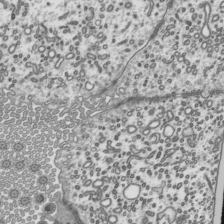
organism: Mouse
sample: Mouse epididymis efferent ductule cilia